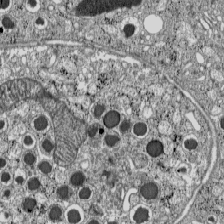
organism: C57BL Mouse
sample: Pancreatic islet